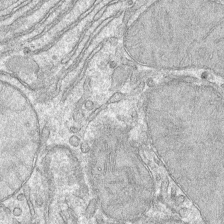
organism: Mouse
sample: Mouse hepatocytes